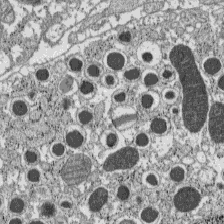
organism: C57BL Mouse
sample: Pancreatic islet